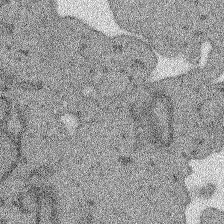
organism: Human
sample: HeLa cells